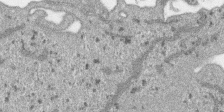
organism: Human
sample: Lung epithelial cells infected with SARS-CoV-2